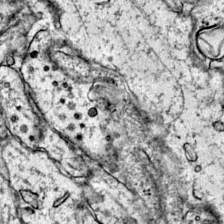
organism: Mouse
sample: Primary visual cortex